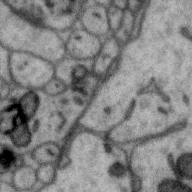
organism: Zebra finch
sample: Brain